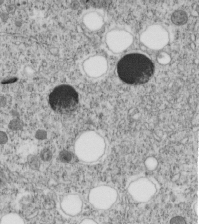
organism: C. elegans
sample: C. elegans embryo early stage